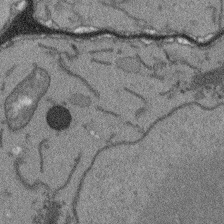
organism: Arabidopsis thaliana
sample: Root tip